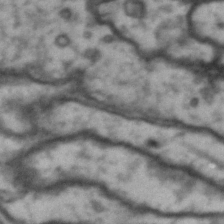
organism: Drosophila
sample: Brain